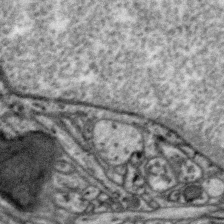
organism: Zebra finch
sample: Brain